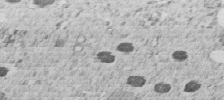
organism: C. elegans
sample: C. elegans embryo early stage